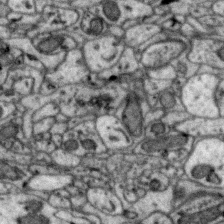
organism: Zebra finch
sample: Brain